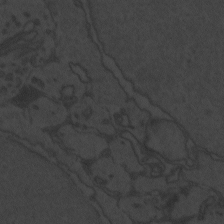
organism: Zebrafish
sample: Macrophage infected with Toxoplasma gondii